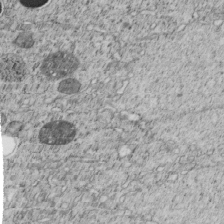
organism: C. elegans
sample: C. elegans embryo early stage